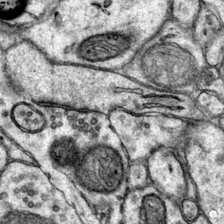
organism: Mouse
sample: Primary visual cortex